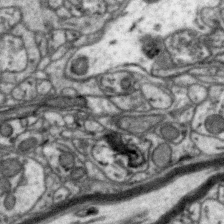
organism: Zebra finch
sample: Brain